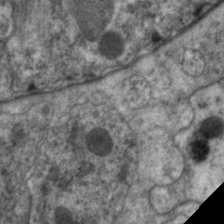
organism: C. elegans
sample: Pharynx